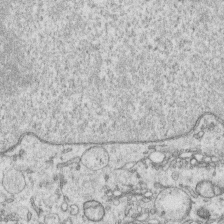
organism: Human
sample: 1205lu cells